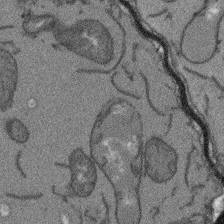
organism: Arabidopsis thaliana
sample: Root tip